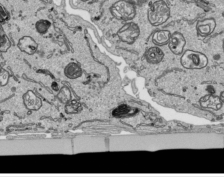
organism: Human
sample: Mitochondria in HCT116 cells